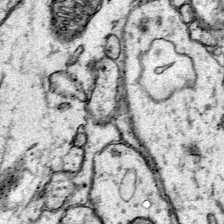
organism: Mouse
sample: Primary visual cortex